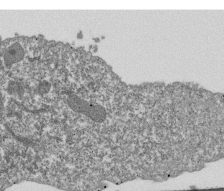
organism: Dictyostelium discoideum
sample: Dictyostelium multivesicular bodies